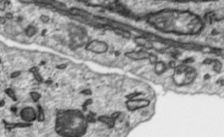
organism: Toxoplasma gondii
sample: Parasites in a vacuole inside a host cell